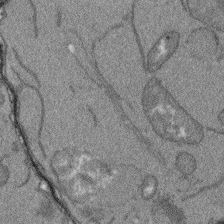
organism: Arabidopsis thaliana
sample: Root tip